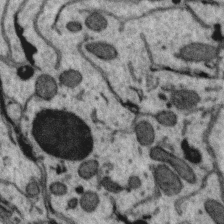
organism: Zebra finch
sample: Brain